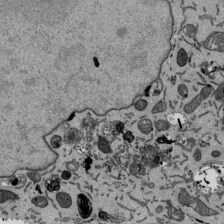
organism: Mouse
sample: ED-1 cell nuclei; centrioles